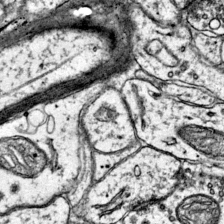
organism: Mouse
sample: Primary visual cortex